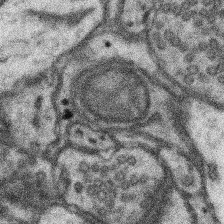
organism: Mouse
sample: Somatosensory cortex neuropil